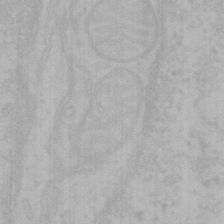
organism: Mouse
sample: Choroid plexus